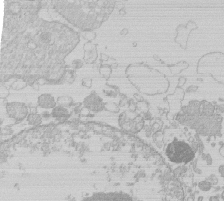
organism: Human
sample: Macrophage cells